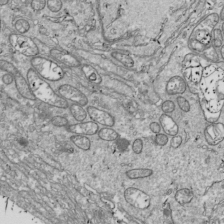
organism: Drosophila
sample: Cell division; meiosis; drosophila spermatocytes